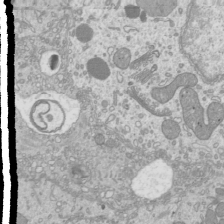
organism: Mouse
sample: Cilia; mouse epididymis